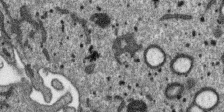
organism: Human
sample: Lung epithelial cells infected with SARS-CoV-2